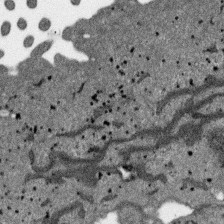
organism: Human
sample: Lung epithelial cells, uninfected (mock) control